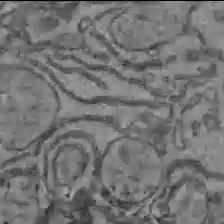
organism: C57BL Mouse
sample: Liver